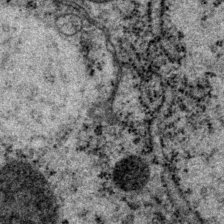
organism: P. pacificus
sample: Pharynx